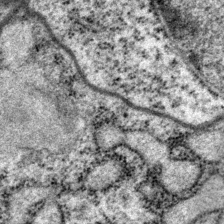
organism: P. pacificus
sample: Pharynx